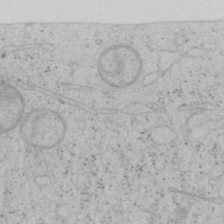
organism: Human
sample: HeLa cells